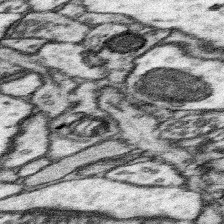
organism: Mouse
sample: Somatosensory cortex neuropil